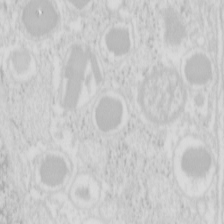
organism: Mouse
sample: Pancreas